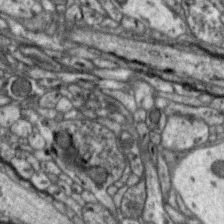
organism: Zebra finch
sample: Brain